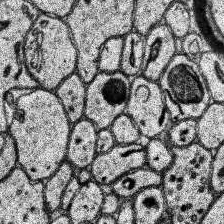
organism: Human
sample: Temporal Lobe